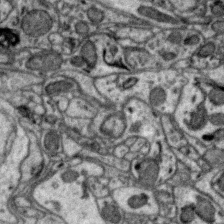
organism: Zebra finch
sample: Brain